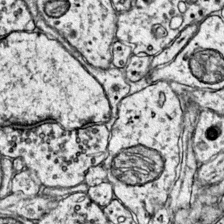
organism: Mouse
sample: Primary visual cortex